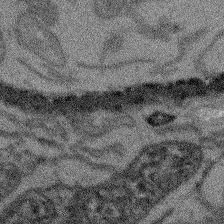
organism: Arabidopsis thaliana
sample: Root tip